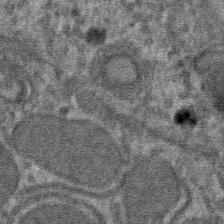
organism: Mouse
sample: Mouse hepatocytes